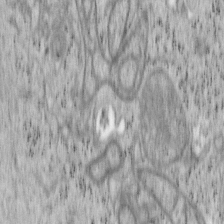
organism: Human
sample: HeLa cells